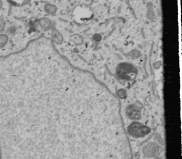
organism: Human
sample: Mitochondria in U2OS cells